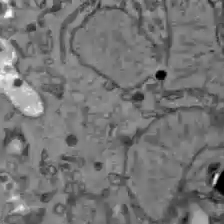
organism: C57BL Mouse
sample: Liver